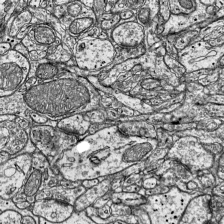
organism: Mouse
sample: Visual Cortex